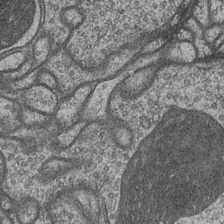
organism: Drosophila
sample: Optic medulla